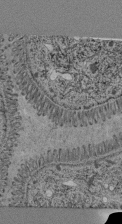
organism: C. elegans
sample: C. elegans pharynx